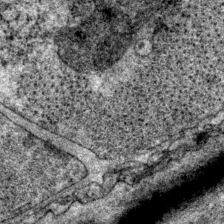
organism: P. pacificus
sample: Pharynx